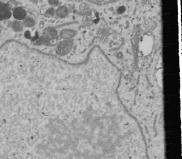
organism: Human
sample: Mitochondria in U2OS cells